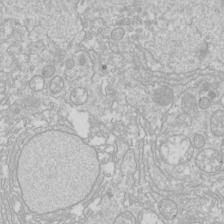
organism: Drosophila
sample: Cell division; meiosis; drosophila spermatocytes